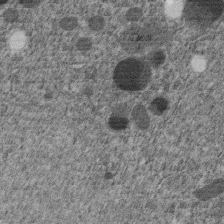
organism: C. elegans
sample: C. elegans embryo early stage